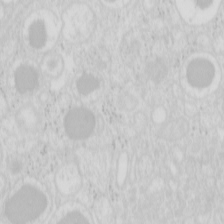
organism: Mouse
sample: Pancreas